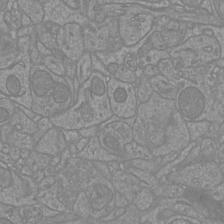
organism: Mouse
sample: Cortical neurons